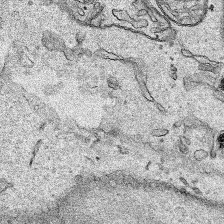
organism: Human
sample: Mitochondria in HCT116 cells